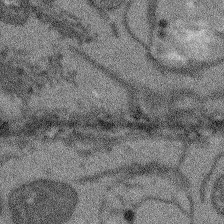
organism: Arabidopsis thaliana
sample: Root tip